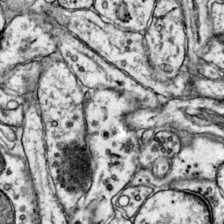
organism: Mouse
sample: Primary visual cortex